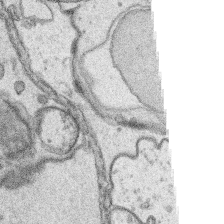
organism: Platynereis dumerilii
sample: Parapodia